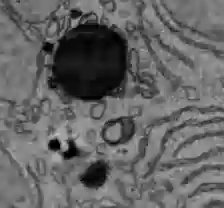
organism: C57BL Mouse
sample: Liver